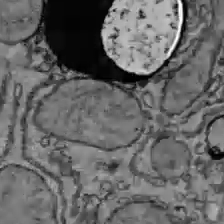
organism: C57BL Mouse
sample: Liver